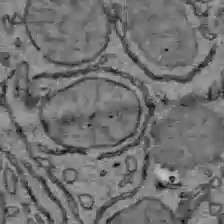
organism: C57BL Mouse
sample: Liver